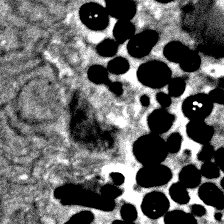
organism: Zebrafish